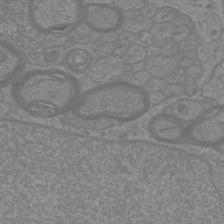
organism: Mouse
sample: Cortical neurons